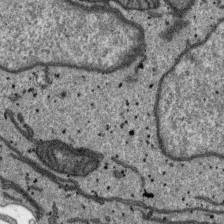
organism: Human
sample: Lung epithelial cells, uninfected (mock) control